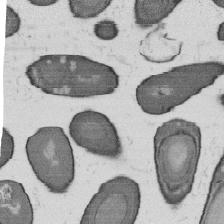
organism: B. subtilis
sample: Bacterial spore